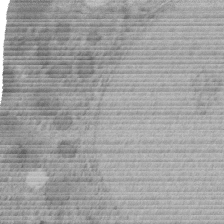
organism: C. elegans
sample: C. elegans embryo early stage